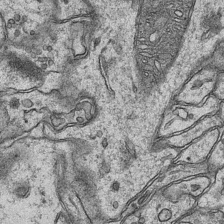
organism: Mouse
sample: CA1 Hippocampus